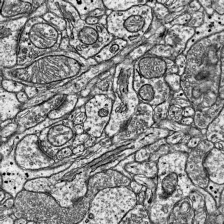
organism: Mouse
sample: Visual Cortex